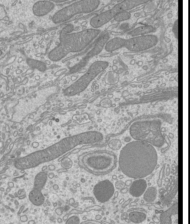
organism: Mouse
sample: Cilia; mouse epididymis